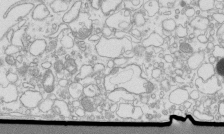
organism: Mouse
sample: Macrophages